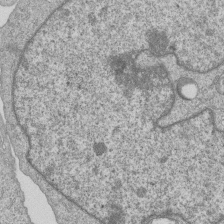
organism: Human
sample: MDA-MB-231 cells